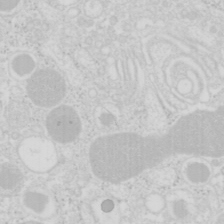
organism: Mouse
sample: Pancreas